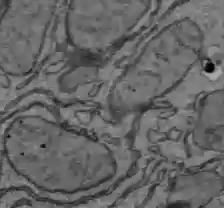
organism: C57BL Mouse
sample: Liver